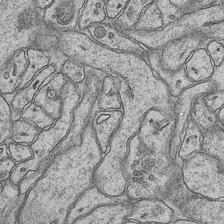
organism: Mouse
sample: CA1 Hippocampus